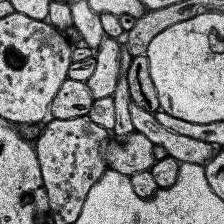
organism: Human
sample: Temporal Lobe